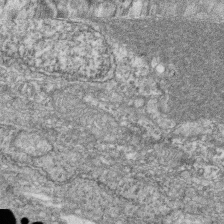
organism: Zebrafish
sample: Cilia; retinal pigment epithelium